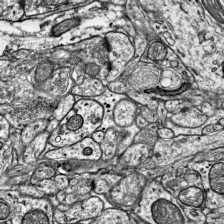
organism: Mouse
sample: Visual Cortex